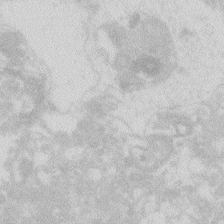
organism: Zebrafish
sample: Macrophage